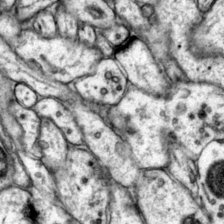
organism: Mouse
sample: Primary visual cortex